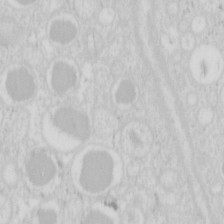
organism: Mouse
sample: Pancreas